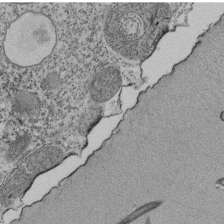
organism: Tetrahymena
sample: Cilia in tetrahymena